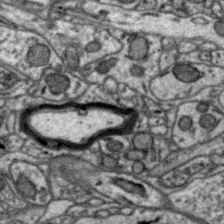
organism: Zebra finch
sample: Brain